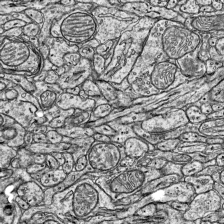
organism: Mouse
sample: Visual Cortex